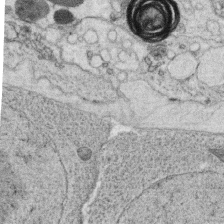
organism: C. elegans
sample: C. elegans oocyte; sperm cells